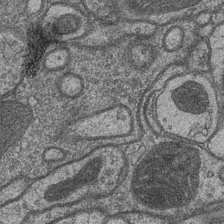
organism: Drosophila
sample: Optic medulla